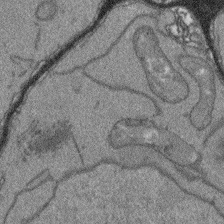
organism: Arabidopsis thaliana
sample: Root tip